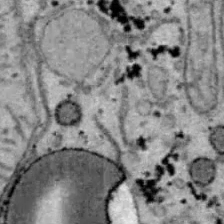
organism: Mouse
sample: Liver from an obese (ob/ob) mouse